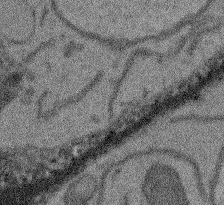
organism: Arabidopsis thaliana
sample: Root tip